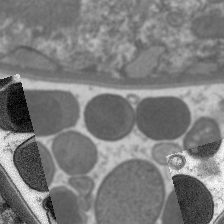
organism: C. elegans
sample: Pharynx